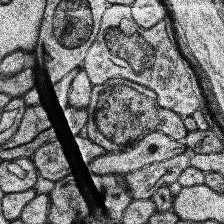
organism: Human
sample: Temporal Lobe